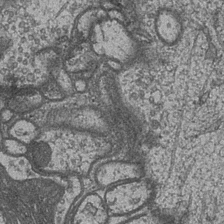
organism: Drosophila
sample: Optic medulla